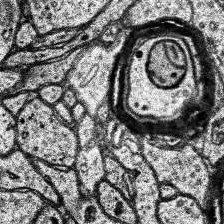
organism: Human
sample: Temporal Lobe